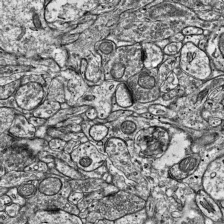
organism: Mouse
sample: Visual Cortex